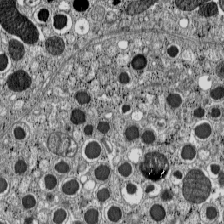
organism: C57BL Mouse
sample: Pancreatic islet